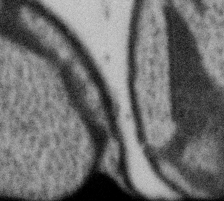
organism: Gemmata obscuriglobus